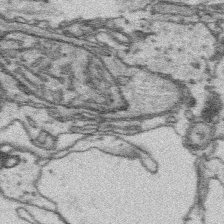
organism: Platynereis dumerilii